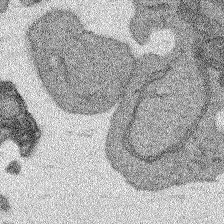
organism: Human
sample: HeLa cells